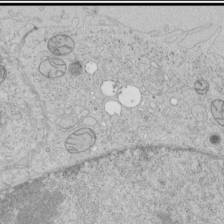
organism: Human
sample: Mitochondria in HCT116 cells